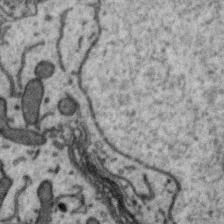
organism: Zebra finch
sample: Brain